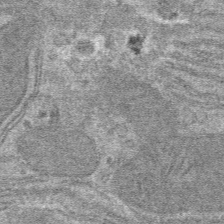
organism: Mouse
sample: Mouse hepatocytes